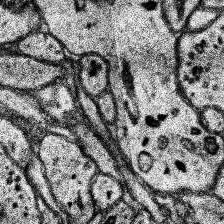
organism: Human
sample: Temporal Lobe